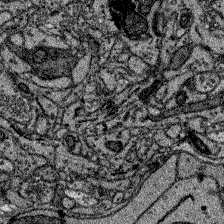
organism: Zebrafish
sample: Larval olfactory bulb